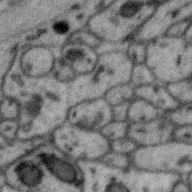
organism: Zebra finch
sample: Brain